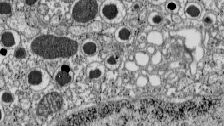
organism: C57BL Mouse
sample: Pancreatic islet